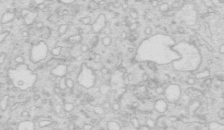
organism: Mouse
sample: Multiciliated cells